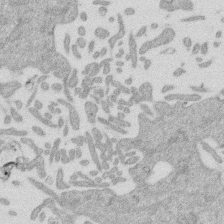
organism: Mouse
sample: Dividing mouse embryo 1 cell stage